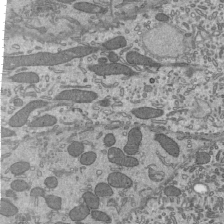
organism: Mouse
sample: Mouse epididymis efferent ductule cilia